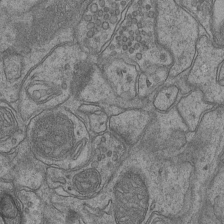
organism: Mouse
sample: CA1 Hippocampus